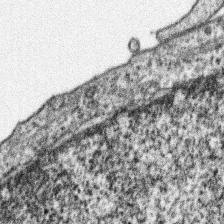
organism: Human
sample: HeLa cells